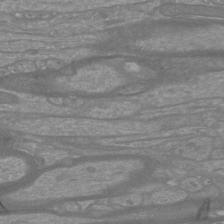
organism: Mouse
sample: Cortical neurons